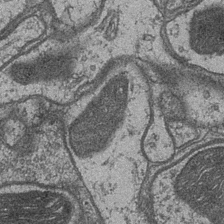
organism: Drosophila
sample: Optic medulla